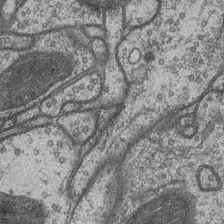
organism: Drosophila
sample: Optic medulla